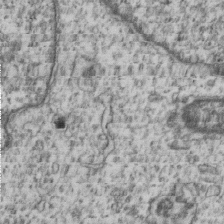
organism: Human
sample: MDA-MB-231 cells